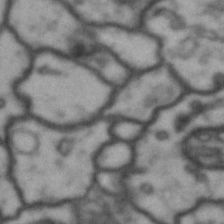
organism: Drosophila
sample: Brain